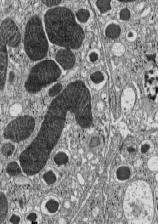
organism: C57BL Mouse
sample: Pancreatic islet